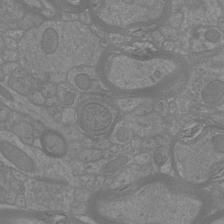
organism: Mouse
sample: Cortical neurons